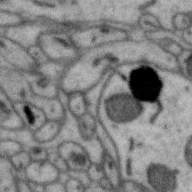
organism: Zebra finch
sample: Brain